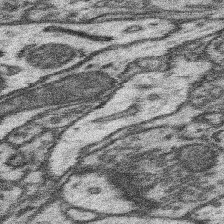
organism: Mouse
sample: Somatosensory cortex neuropil